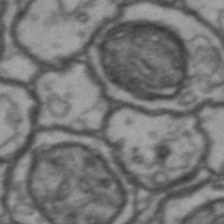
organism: Drosophila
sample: Brain